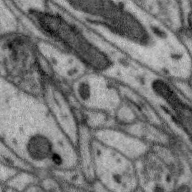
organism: Zebra finch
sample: Brain